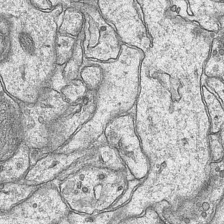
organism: Mouse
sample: CA1 Hippocampus